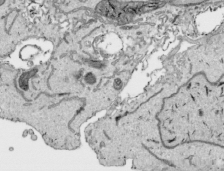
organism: Human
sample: Mitochondria in HCT116 cells